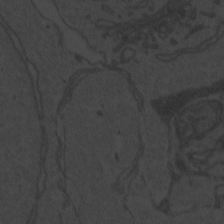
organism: Zebrafish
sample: Macrophage infected with Toxoplasma gondii